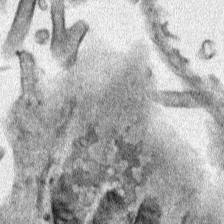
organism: Human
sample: Mitochondria in HCT116 cells